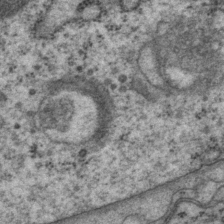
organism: P. pacificus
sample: Pharynx